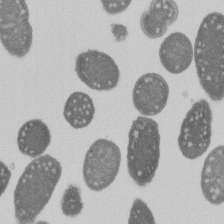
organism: E. coli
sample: Bacterial nucleoid